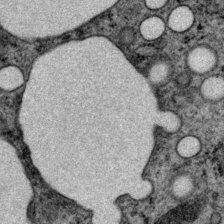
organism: P. pacificus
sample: Pharynx